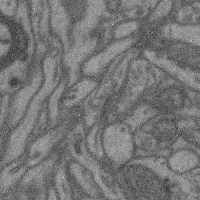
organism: Mouse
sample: Cerebral cortex